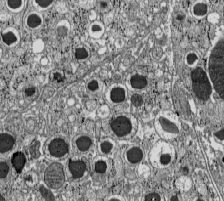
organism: C57BL Mouse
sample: Pancreatic islet